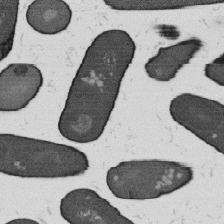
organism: B. subtilis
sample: Bacterial spore